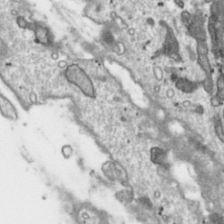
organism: Toxoplasma gondii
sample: Parasites in a vacuole inside a host cell